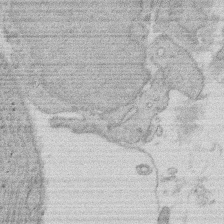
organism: Rat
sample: Salivary granule